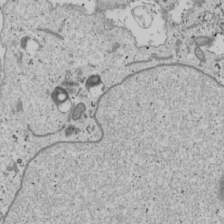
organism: Human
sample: Mitochondria in U2OS cells